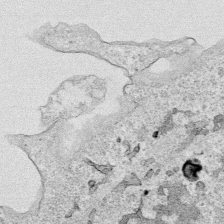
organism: Human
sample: Mitochondria in HCT116 cells